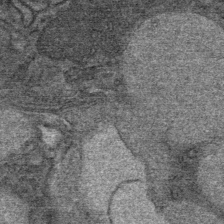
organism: Mouse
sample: Mouse Salivary gland